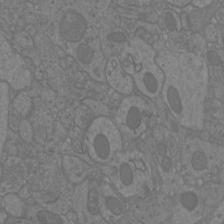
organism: Mouse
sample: Cortical neurons